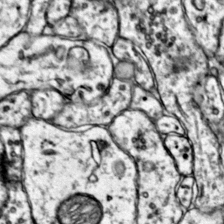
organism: Mouse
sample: Primary visual cortex